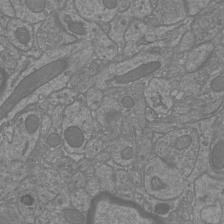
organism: Mouse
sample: Cortical neurons